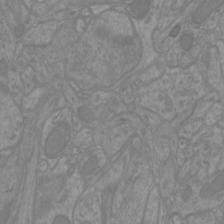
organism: Mouse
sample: Cortical neurons